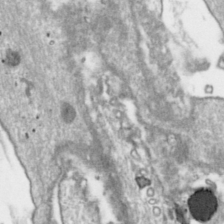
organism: Toxoplasma gondii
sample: Parasites in a vacuole inside a host cell